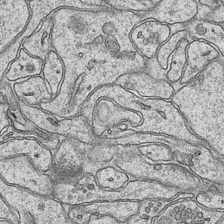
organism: Mouse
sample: CA1 Hippocampus